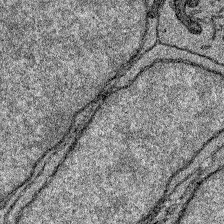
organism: Zebrafish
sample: Larval olfactory bulb